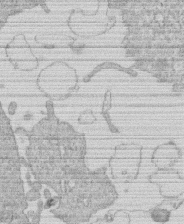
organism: Human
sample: Macrophage cells